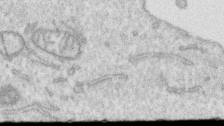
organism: Human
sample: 1205lu cells